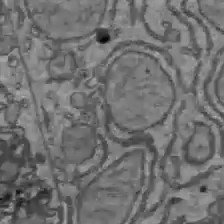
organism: C57BL Mouse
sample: Liver